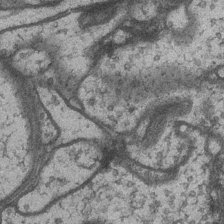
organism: Drosophila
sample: Optic medulla